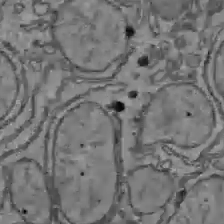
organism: C57BL Mouse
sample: Liver